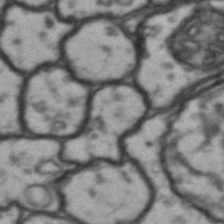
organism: Drosophila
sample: Brain